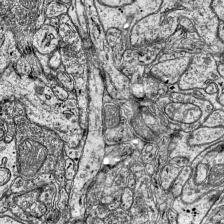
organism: Mouse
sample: Visual Cortex